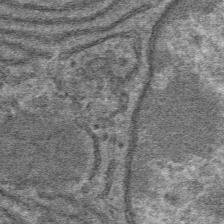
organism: Mouse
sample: Mouse hepatocytes